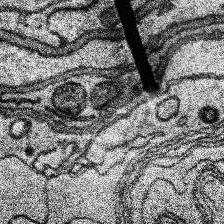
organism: Human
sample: Temporal Lobe